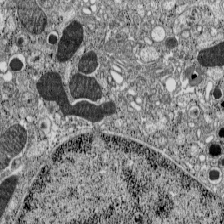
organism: C57BL Mouse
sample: Pancreatic islet